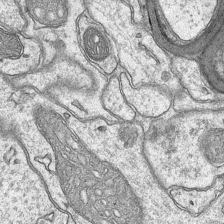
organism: Mouse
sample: CA1 Hippocampus